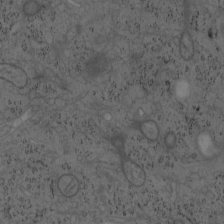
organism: Mouse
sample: OT-I killer T cells with ID8 ovarian cancer cells